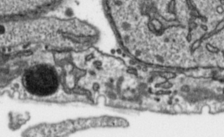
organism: Toxoplasma gondii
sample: Parasites in a vacuole inside a host cell